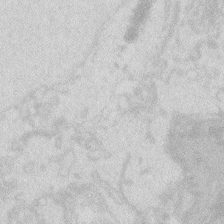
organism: Zebrafish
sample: Macrophage